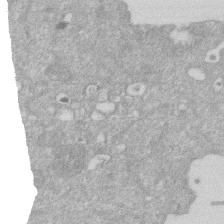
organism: Human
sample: HIV infected U937 cells